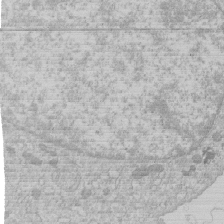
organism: Human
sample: Macrophage cells